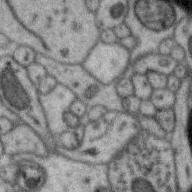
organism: Zebra finch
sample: Brain